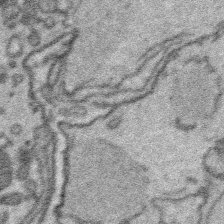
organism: Platynereis dumerilii